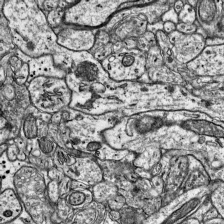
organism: Mouse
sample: Visual Cortex